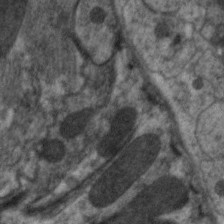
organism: C. elegans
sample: Pharynx